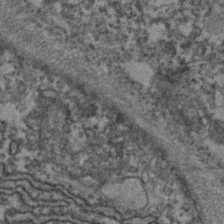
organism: Zebrafish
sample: Zebrafish embryo